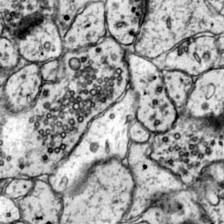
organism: Mouse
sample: Primary visual cortex